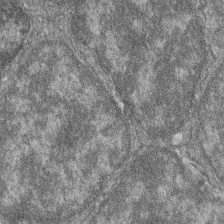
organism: Zebrafish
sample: Cilia; retinal pigment epithelium